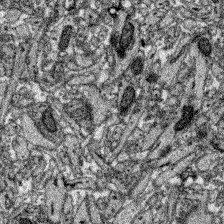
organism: Zebrafish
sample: Larval olfactory bulb